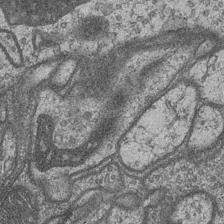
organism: Drosophila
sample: Optic medulla